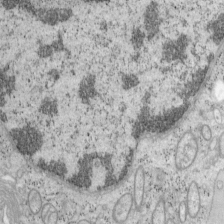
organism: Mouse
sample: OT-I killer T cells with ID8 ovarian cancer cells